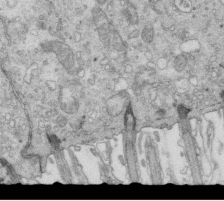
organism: Mouse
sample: Multiciliated cells